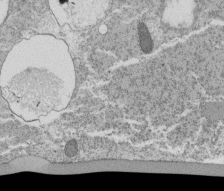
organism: Tetrahymena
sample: Cilia in tetrahymena